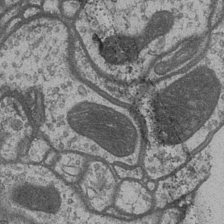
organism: Drosophila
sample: Optic medulla